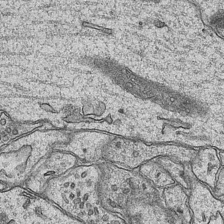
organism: Mouse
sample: CA1 Hippocampus